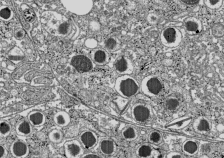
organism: C57BL Mouse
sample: Pancreatic islet